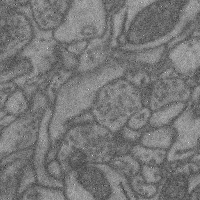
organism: Mouse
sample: Cerebral cortex